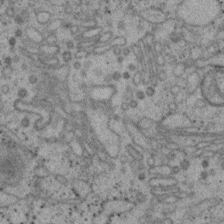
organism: Human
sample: HeLa cells